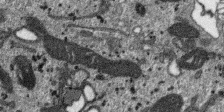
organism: Human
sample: Lung epithelial cells infected with SARS-CoV-2